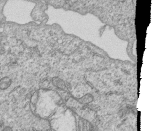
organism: Human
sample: MDA-MB-231 cells